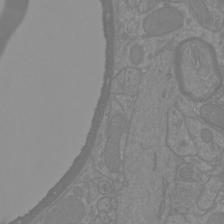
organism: Mouse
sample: Cortical neurons